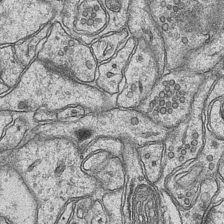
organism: Mouse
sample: CA1 Hippocampus